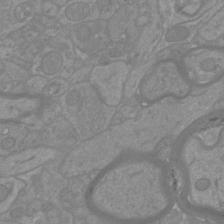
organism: Mouse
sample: Cortical neurons